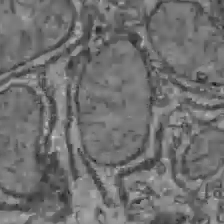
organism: C57BL Mouse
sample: Liver